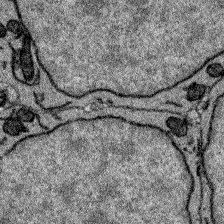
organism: Zebrafish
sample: Larval olfactory bulb